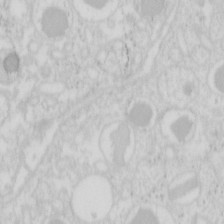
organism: Mouse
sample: Pancreas